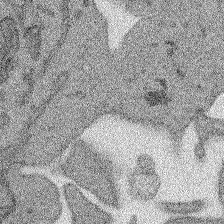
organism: Human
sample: HeLa cells